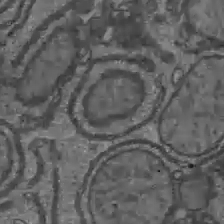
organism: C57BL Mouse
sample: Liver